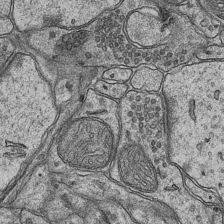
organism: Mouse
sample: CA1 Hippocampus